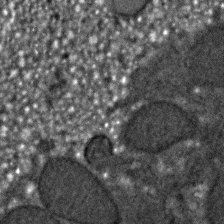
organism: C. elegans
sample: C. elegans embryo